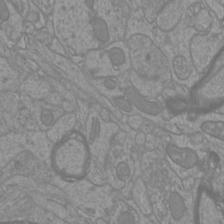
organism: Mouse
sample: Cortical neurons